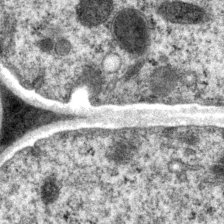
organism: P. pacificus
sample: Pharynx